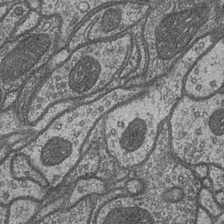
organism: Drosophila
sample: Optic medulla